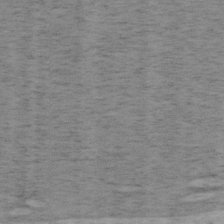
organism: Mouse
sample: OT-I killer T cells with ID8 ovarian cancer cells